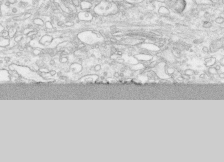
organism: Human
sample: CRL-1474